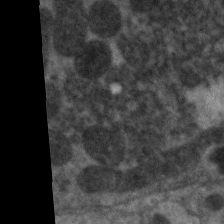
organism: C. elegans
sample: Pharynx